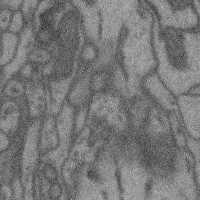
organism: Mouse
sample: Cerebral cortex